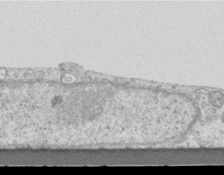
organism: Mouse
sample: Centriole in ependymal cells